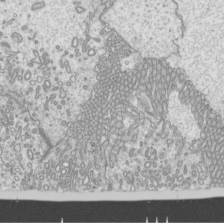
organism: Mouse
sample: Cilia; mouse epididymis